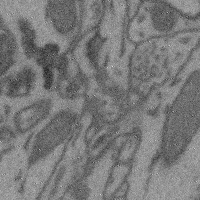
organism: Mouse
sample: Cerebral cortex